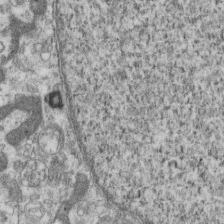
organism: Mouse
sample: Centriole in ependymal cells